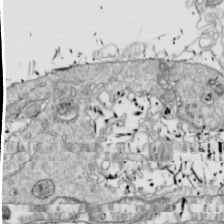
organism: Drosophila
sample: Cell division; meiosis; drosophila spermatocytes